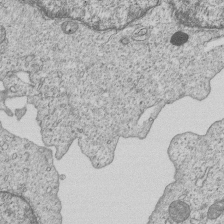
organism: Human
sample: MDA-MB-231 cells